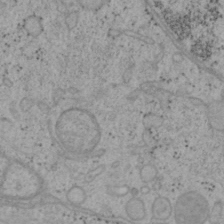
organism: Human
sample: HeLa cells